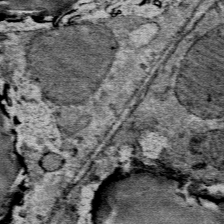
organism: Mouse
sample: Mouse Salivary gland